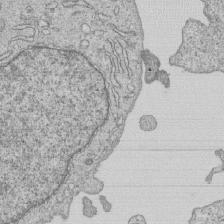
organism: Human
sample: MDA-MB-231 cells